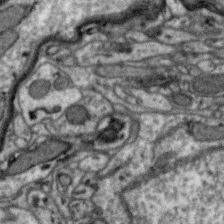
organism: Zebra finch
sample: Brain